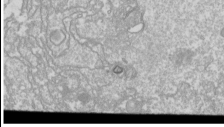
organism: Drosophila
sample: Cell division; meiosis; drosophila spermatocytes